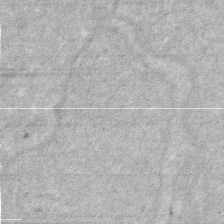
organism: Human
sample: HIV infected U937 cells